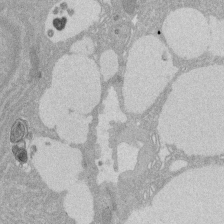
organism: Rat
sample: Salivary granule